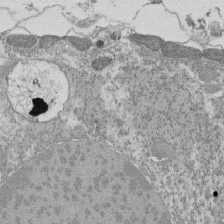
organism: Tetrahymena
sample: Cilia in tetrahymena